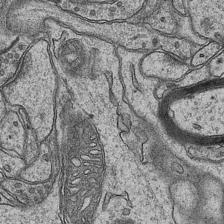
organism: Mouse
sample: CA1 Hippocampus